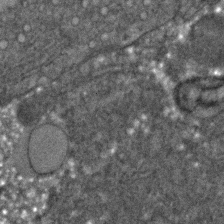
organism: C. elegans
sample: C. elegans embryo